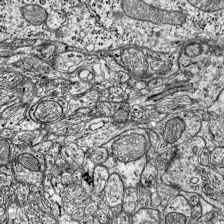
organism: Mouse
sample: Visual Cortex